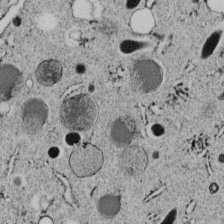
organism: C. elegans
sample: C. elegans embryo early stage